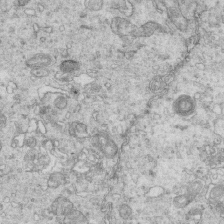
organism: Mouse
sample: Multiciliated cells